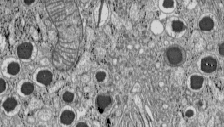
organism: C57BL Mouse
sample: Pancreatic islet